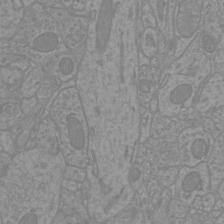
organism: Mouse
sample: Cortical neurons